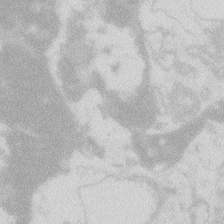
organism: Zebrafish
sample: Macrophage